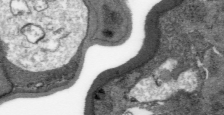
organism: Plasmodium falciparum